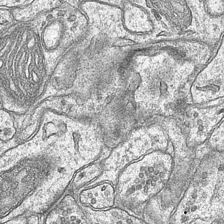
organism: Mouse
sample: CA1 Hippocampus